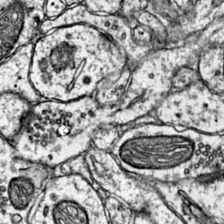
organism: Mouse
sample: Primary visual cortex